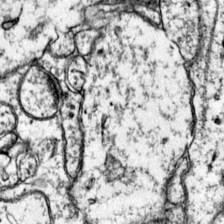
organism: Mouse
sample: Primary visual cortex